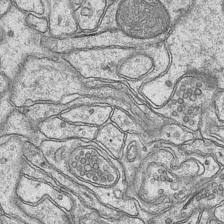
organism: Mouse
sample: CA1 Hippocampus